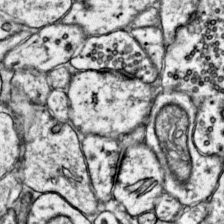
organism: Mouse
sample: Primary visual cortex